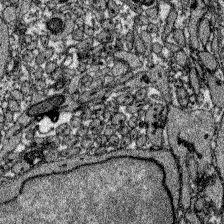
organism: Zebrafish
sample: Larval olfactory bulb